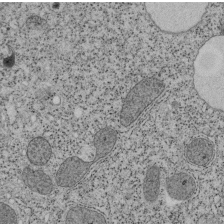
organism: Tetrahymena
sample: Cilia in tetrahymena